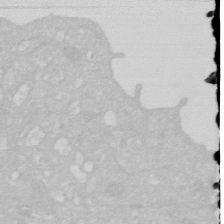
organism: Human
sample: HIV infected U937 cells